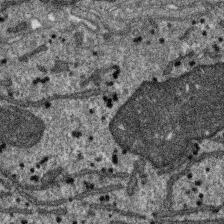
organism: Human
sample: Lung epithelial cells infected with SARS-CoV-2